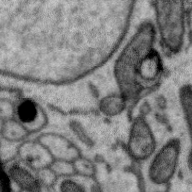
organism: Zebra finch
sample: Brain